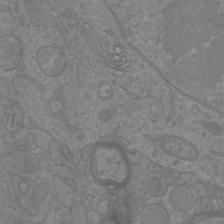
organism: Mouse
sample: Cortical neurons